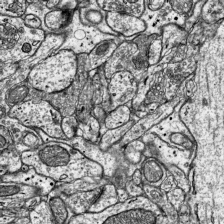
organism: Mouse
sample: Visual Cortex